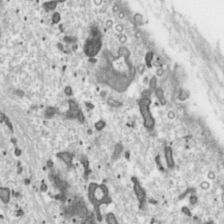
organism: Toxoplasma gondii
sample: Parasites in a vacuole inside a host cell